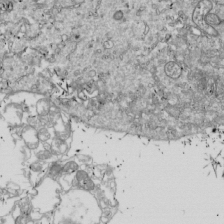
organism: Drosophila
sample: Cell division; meiosis; drosophila spermatocytes